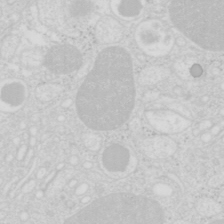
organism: Mouse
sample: Pancreas